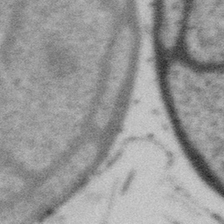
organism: Gemmata obscuriglobus